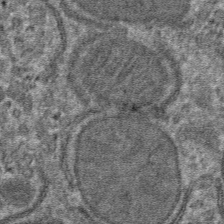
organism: Mouse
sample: Mouse hepatocytes